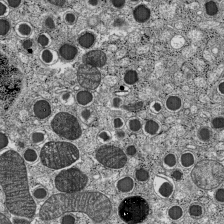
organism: C57BL Mouse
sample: Pancreatic islet